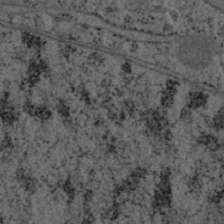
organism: Human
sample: HeLa cells